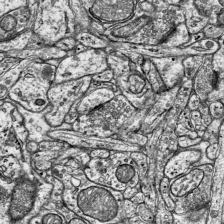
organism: Mouse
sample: Visual Cortex